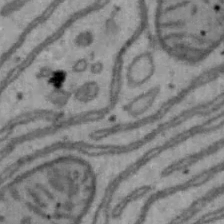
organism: Mouse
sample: Liver